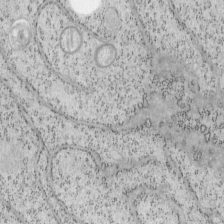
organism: Mouse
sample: OT-I killer T cells with ID8 ovarian cancer cells